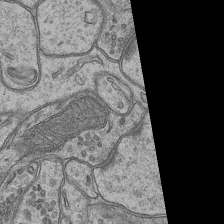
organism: Mouse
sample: CA1 Hippocampus